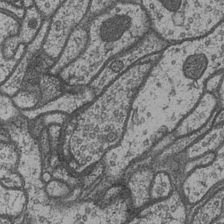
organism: Drosophila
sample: Optic medulla